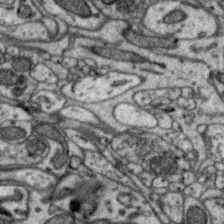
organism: Zebra finch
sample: Brain